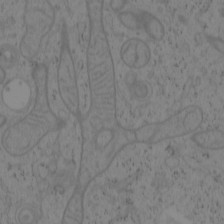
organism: Human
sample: HeLa cells